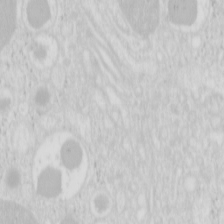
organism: Mouse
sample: Pancreas